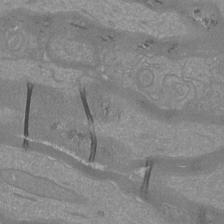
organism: Mouse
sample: Cortical neurons